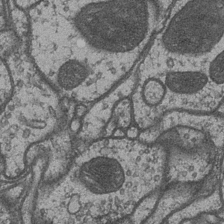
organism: Drosophila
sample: Optic medulla